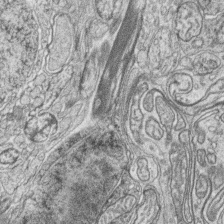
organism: Zebrafish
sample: synaptic ribbons in rod cells and cone cells